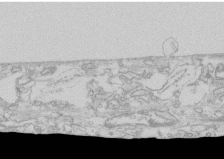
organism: Human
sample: CRL-1474